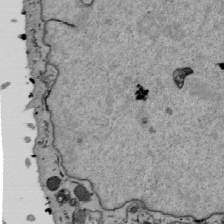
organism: Mouse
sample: ED-1 cell nuclei; centrioles